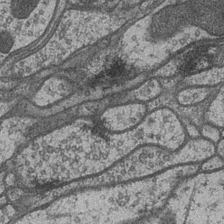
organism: Drosophila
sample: Optic medulla